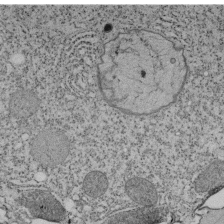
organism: Tetrahymena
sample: Cilia in tetrahymena